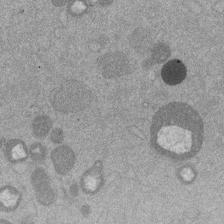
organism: Mouse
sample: Dividing mouse embryo 1 cell stage